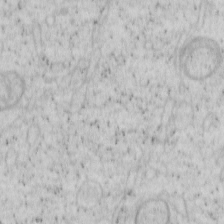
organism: Human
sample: HeLa cells